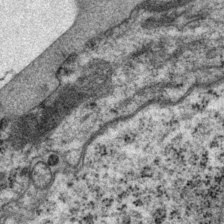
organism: P. pacificus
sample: Pharynx